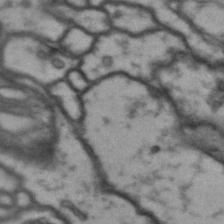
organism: Drosophila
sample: Brain